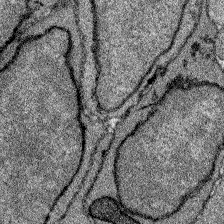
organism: Zebrafish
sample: Larval olfactory bulb